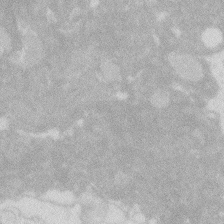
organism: Zebrafish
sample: Macrophage